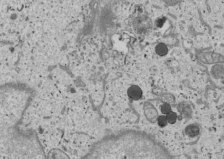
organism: Human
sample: Mitochondria in U2OS cells